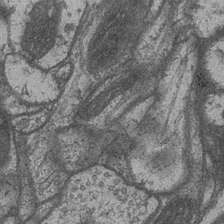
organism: Drosophila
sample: Optic medulla